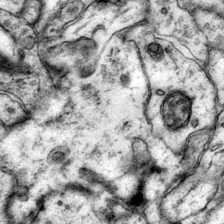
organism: Mouse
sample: Primary visual cortex